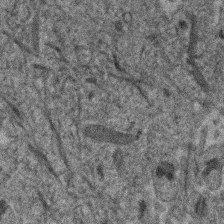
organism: Human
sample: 1205lu cells